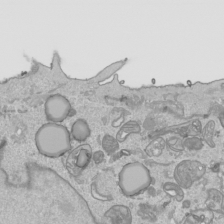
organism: Human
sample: Mitochondria in HCT116 cells